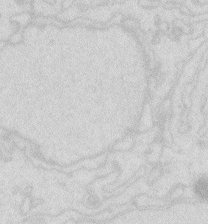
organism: Zebrafish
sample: Macrophage